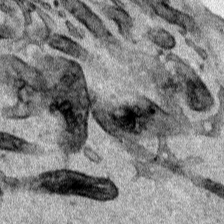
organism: Human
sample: Mitochondria in HCT116 cells